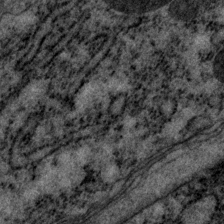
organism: P. pacificus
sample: Pharynx